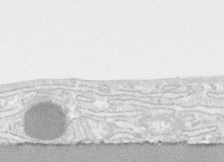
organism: Human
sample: CRL-1474